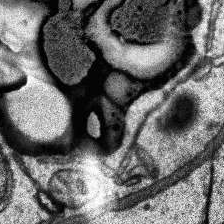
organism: Human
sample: Temporal Lobe